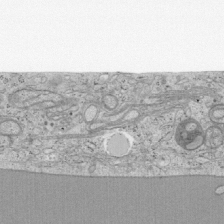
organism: Human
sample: HeLa cells